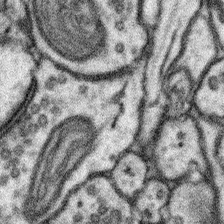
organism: Mouse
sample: Somatosensory cortex neuropil